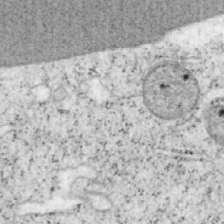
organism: Mouse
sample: OT-I killer T cells with ID8 ovarian cancer cells